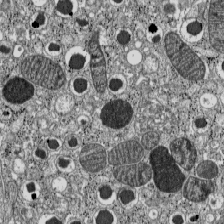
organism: C57BL Mouse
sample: Pancreatic islet